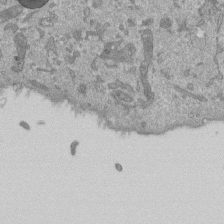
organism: Mouse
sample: ED-1 cell nuclei; centrioles